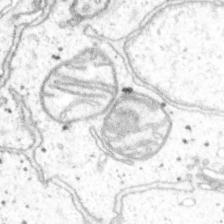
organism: Human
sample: HeLa cells